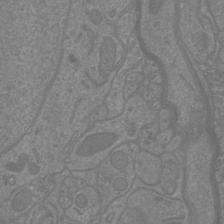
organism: Mouse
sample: Cortical neurons